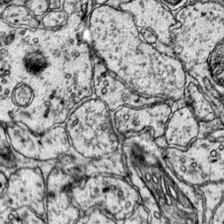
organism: Mouse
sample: Primary visual cortex